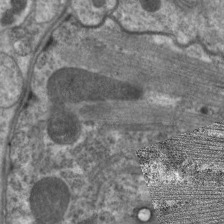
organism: C. elegans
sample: Pharynx